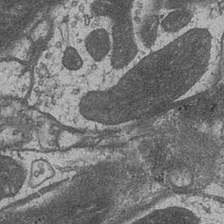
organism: Drosophila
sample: Optic medulla